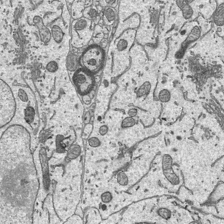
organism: Mouse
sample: Suprachiasmatic nucleus